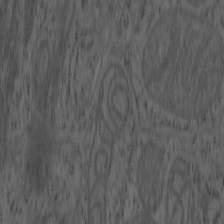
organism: Human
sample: HeLa cells